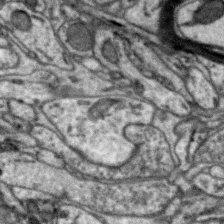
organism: Zebra finch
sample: Brain